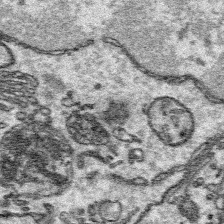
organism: Platynereis dumerilii